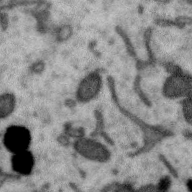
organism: Zebra finch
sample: Brain